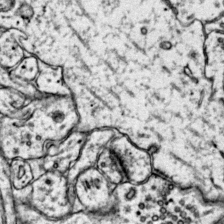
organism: Mouse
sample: Primary visual cortex